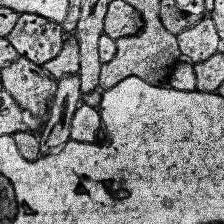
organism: Human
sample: Temporal Lobe